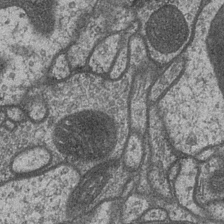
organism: Drosophila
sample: Optic medulla